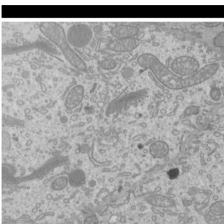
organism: Mouse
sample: Cilia; mouse epididymis